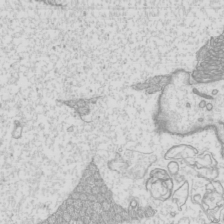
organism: Mouse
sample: Cilia; mouse epididymis